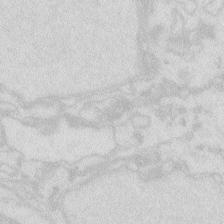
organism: Zebrafish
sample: Macrophage